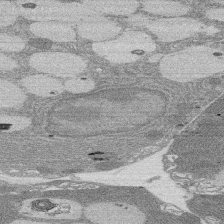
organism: Rat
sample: Salivary granule